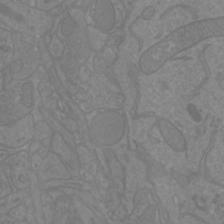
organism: Mouse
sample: Cortical neurons